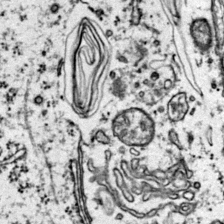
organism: Mouse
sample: Primary visual cortex